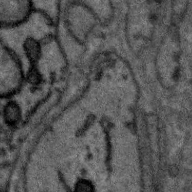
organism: Zebra finch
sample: Brain